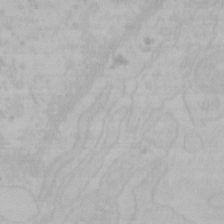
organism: Mouse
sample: Choroid plexus